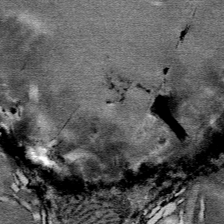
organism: Mouse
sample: Mouse Salivary gland